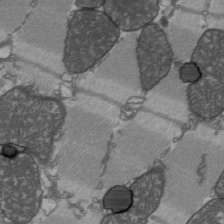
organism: C57BL Mouse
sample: Heart